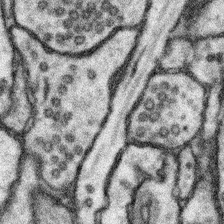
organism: Mouse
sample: Somatosensory cortex neuropil